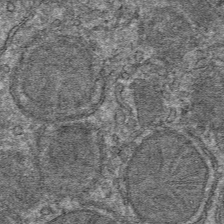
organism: Mouse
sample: Mouse hepatocytes